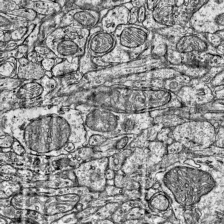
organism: Mouse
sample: Visual Cortex